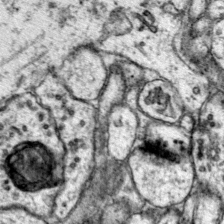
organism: Mouse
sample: Primary visual cortex